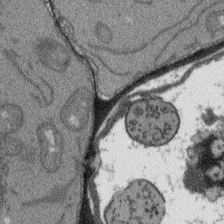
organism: Arabidopsis thaliana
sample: Root tip